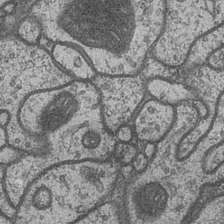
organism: Drosophila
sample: Optic medulla